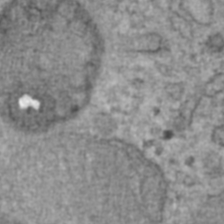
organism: Human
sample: Blood